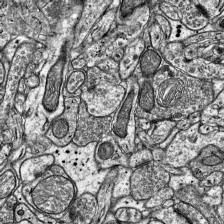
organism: Mouse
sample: Visual Cortex